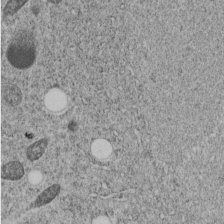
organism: C. elegans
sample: C. elegans embryo early stage